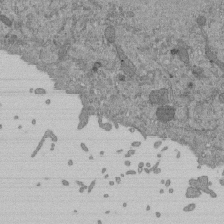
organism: Mouse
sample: ED-1 cell nuclei; centrioles